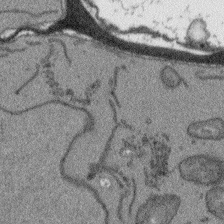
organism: Arabidopsis thaliana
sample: Root tip